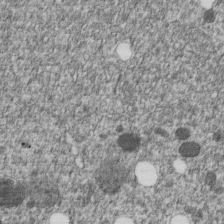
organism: C. elegans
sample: C. elegans embryo early stage